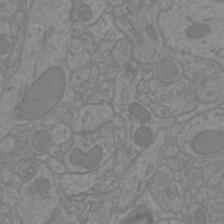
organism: Mouse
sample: Cortical neurons